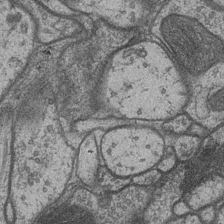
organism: Drosophila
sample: Optic medulla